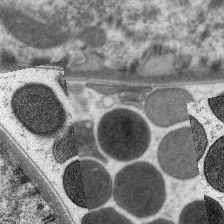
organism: C. elegans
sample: Pharynx